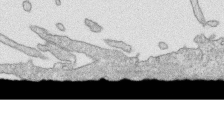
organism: Human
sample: HeLa cell HIV synapse